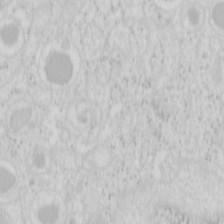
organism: Mouse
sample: Pancreas